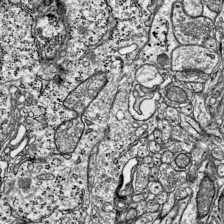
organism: Mouse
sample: Visual Cortex